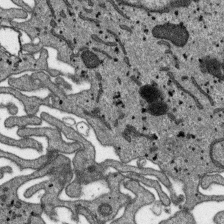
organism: Human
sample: Lung epithelial cells, uninfected (mock) control